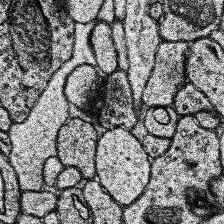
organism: Human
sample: Temporal Lobe